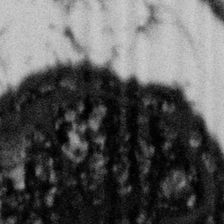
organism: Gemmata obscuriglobus